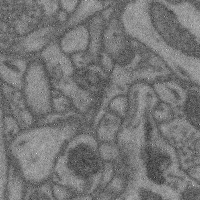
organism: Mouse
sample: Cerebral cortex